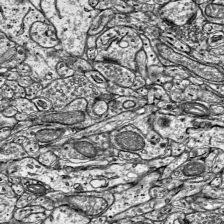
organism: Mouse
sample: Visual Cortex